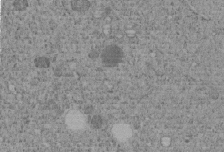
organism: C. elegans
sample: C. elegans embryo early stage